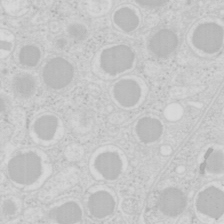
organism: Mouse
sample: Pancreas